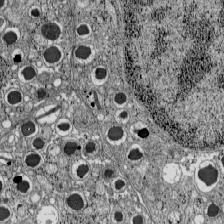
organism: C57BL Mouse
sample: Pancreatic islet